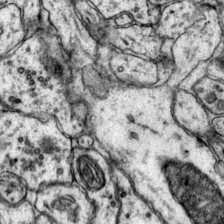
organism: Mouse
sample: Primary visual cortex